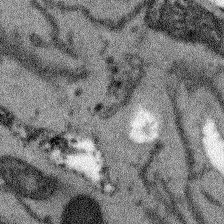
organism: Arabidopsis thaliana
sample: Root tip